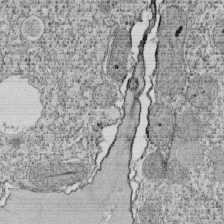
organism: Tetrahymena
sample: Cilia in tetrahymena